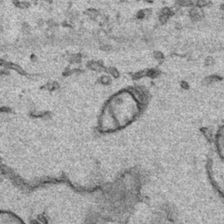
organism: Human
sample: Mitochondria in HCT116 cells